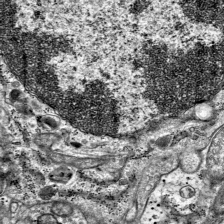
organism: Mouse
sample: Visual Cortex